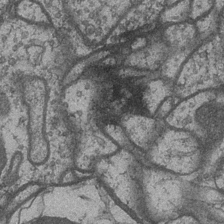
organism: Drosophila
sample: Optic medulla